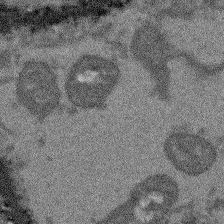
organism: Arabidopsis thaliana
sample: Root tip